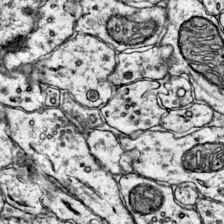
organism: Mouse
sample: Primary visual cortex